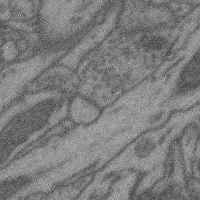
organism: Mouse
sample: Cerebral cortex